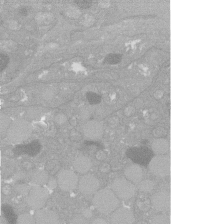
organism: C. elegans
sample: C. elegans oocyte; sperm cells